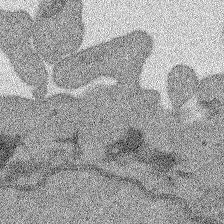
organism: Human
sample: HeLa cells